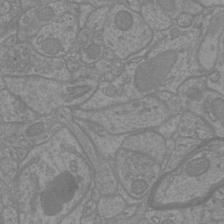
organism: Mouse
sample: Cortical neurons